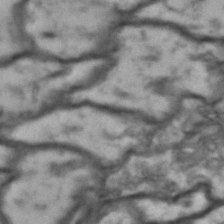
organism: Drosophila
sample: Brain